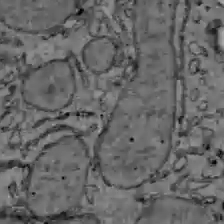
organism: C57BL Mouse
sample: Liver